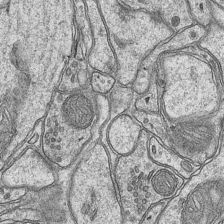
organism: Mouse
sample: CA1 Hippocampus